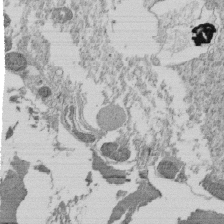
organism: Tetrahymena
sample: Cilia in tetrahymena